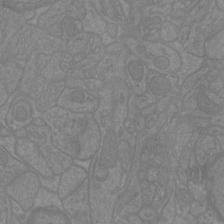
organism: Mouse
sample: Cortical neurons